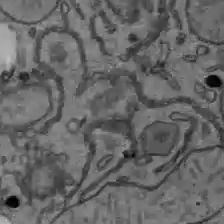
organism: C57BL Mouse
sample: Liver